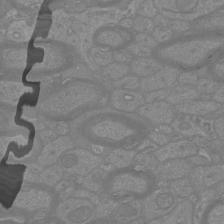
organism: Mouse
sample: Cortical neurons